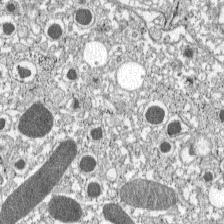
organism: C57BL Mouse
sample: Pancreatic islet